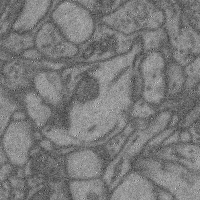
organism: Mouse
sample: Cerebral cortex